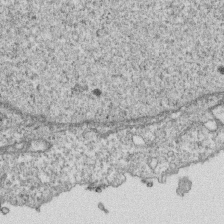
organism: Human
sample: HeLa cell HIV synapse